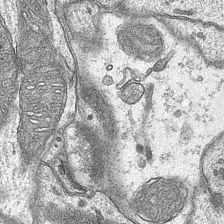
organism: Mouse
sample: CA1 Hippocampus